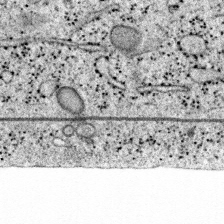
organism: Human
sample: HeLa cells